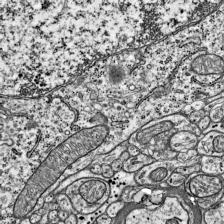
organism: Mouse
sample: Visual Cortex